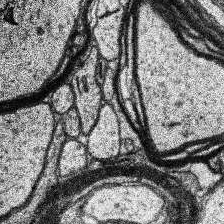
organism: Human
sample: Temporal Lobe